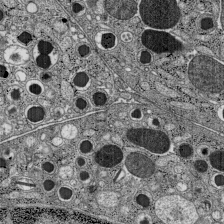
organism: C57BL Mouse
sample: Pancreatic islet